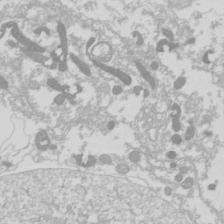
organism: Drosophila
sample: Cell division; meiosis; drosophila spermatocytes